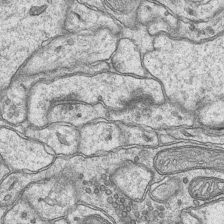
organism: Mouse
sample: CA1 Hippocampus